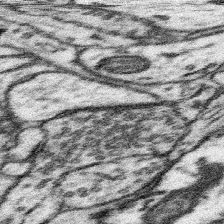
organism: Mouse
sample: Somatosensory cortex neuropil